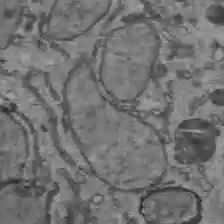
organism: C57BL Mouse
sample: Liver